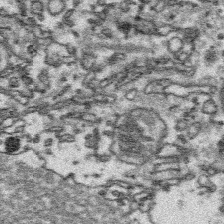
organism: Platynereis dumerilii